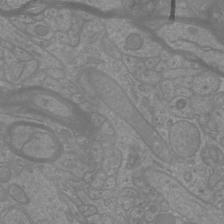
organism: Mouse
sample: Cortical neurons